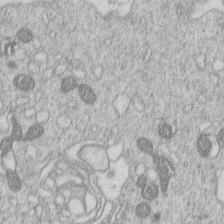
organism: Human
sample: Macrophage cells